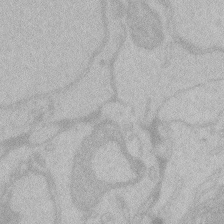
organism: Zebrafish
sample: Macrophage infected with Toxoplasma gondii